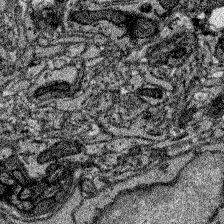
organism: Zebrafish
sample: Larval olfactory bulb